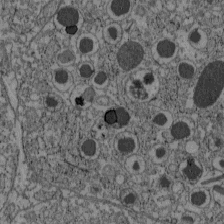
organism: C57BL Mouse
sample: Pancreatic islet